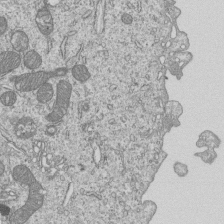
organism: Human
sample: MDA-MB-231 cells